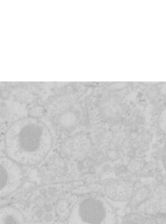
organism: Mouse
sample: Pancreas